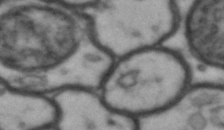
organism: Drosophila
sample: Brain